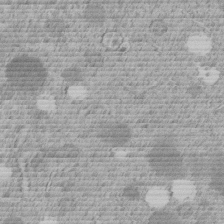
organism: C. elegans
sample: C. elegans embryo early stage